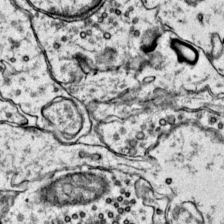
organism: Mouse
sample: Primary visual cortex